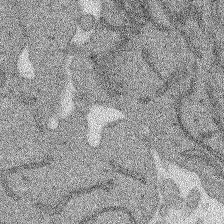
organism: Human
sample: HeLa cells